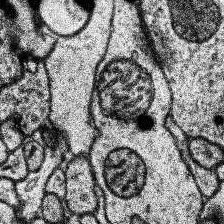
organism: Human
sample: Temporal Lobe